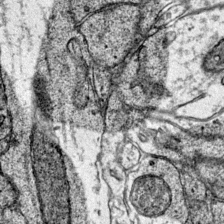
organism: Mouse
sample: Primary visual cortex